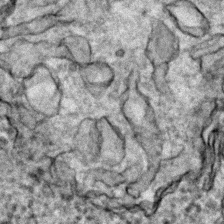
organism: Zebrafish